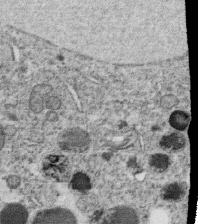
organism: C. elegans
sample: C. elegans oocyte; sperm cells